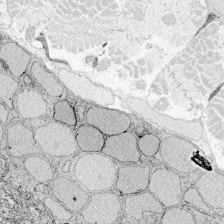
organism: Zebrafish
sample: Whole-Brain